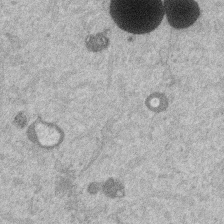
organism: Mouse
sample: Dividing mouse embryo 1 cell stage